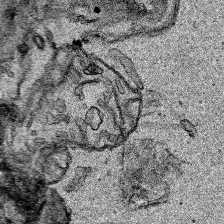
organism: Human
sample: Mitochondria in HCT116 cells